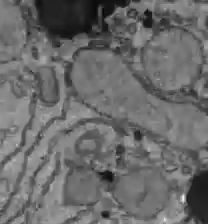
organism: C57BL Mouse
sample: Liver